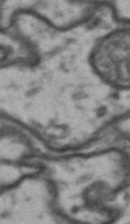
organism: Drosophila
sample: Brain